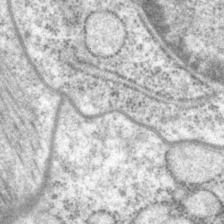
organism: P. pacificus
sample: Pharynx